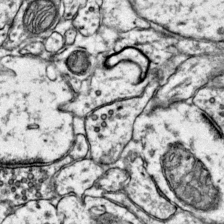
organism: Mouse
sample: Primary visual cortex